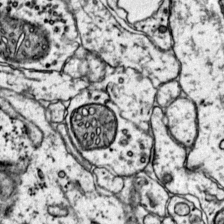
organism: Mouse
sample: Primary visual cortex